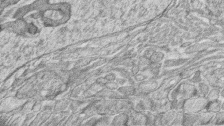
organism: Zebrafish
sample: synaptic ribbons in rod cells and cone cells